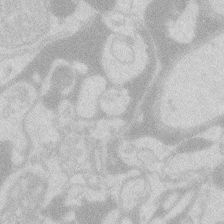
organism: Zebrafish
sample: Macrophage